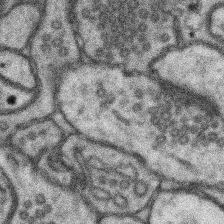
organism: Mouse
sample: Somatosensory cortex neuropil